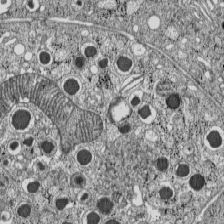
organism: C57BL Mouse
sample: Pancreatic islet